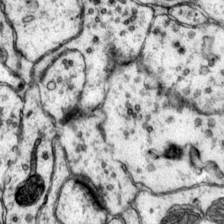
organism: Mouse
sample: Primary visual cortex